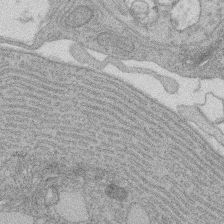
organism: Rat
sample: Salivary granule